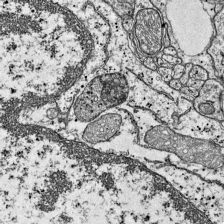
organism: Mouse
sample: Visual Cortex